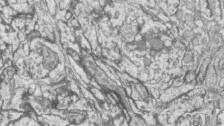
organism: Zebrafish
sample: synaptic ribbons in rod cells and cone cells